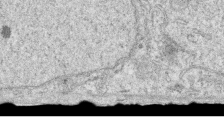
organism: Human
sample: HeLa cell HIV synapse